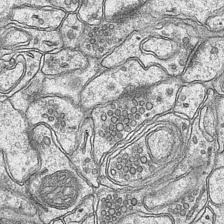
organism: Mouse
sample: CA1 Hippocampus